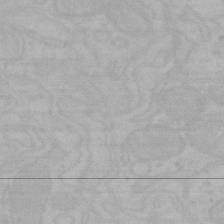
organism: Mouse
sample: Choroid plexus